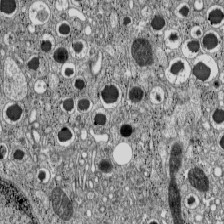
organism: C57BL Mouse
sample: Pancreatic islet